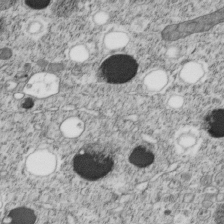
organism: C. elegans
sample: C. elegans embryo early stage